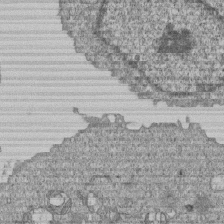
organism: Human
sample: MDA-MB-231 cells